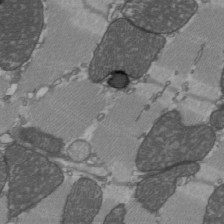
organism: C57BL Mouse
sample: Heart